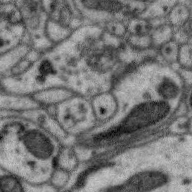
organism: Zebra finch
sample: Brain